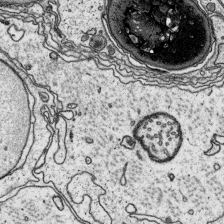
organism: Platynereis dumerilii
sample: Parapodia